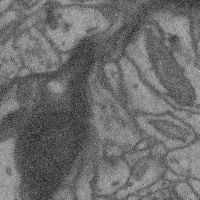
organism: Mouse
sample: Cerebral cortex